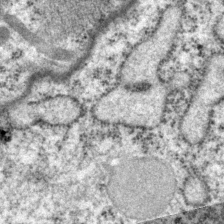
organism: P. pacificus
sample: Pharynx